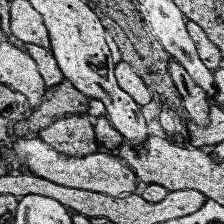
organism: Human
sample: Temporal Lobe